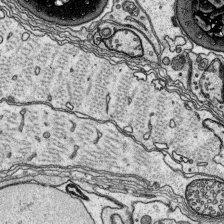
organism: Platynereis dumerilii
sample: Parapodia